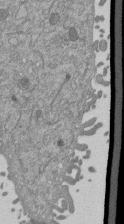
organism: Mouse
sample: ED-1 cell nuclei; centrioles